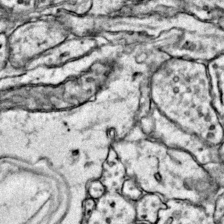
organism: Mouse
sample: Primary visual cortex